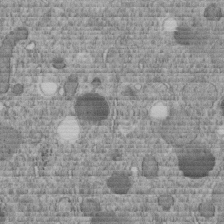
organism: C. elegans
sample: C. elegans embryo early stage